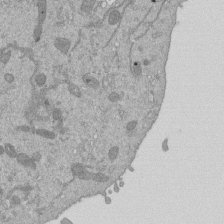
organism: Mouse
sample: ED-1 cell nuclei; centrioles